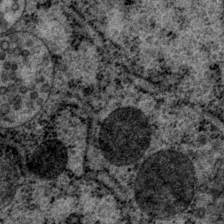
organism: P. pacificus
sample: Pharynx